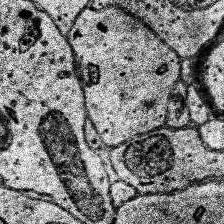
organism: Human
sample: Temporal Lobe